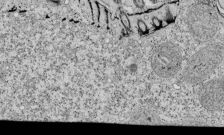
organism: Tetrahymena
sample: Cilia in tetrahymena